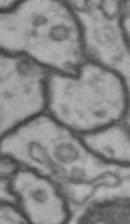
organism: Drosophila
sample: Brain